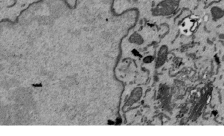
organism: Mouse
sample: ED-1 cell nuclei; centrioles